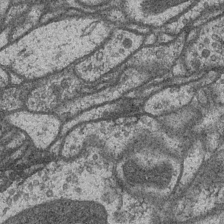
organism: Drosophila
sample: Optic medulla